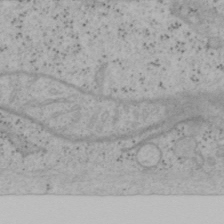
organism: Human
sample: HeLa cells